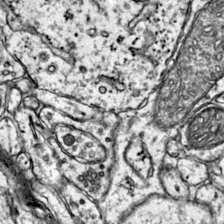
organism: Mouse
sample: Primary visual cortex